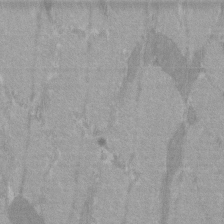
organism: C57BL Mouse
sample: Tibialis anterior muscle cell